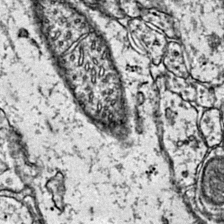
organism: Mouse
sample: Primary visual cortex